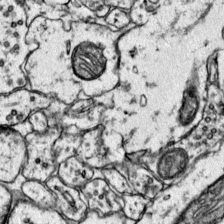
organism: Mouse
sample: Primary visual cortex